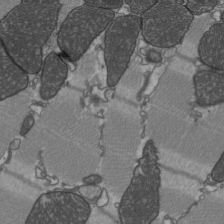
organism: C57BL Mouse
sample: Heart